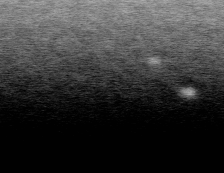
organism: Human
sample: HeLa cells